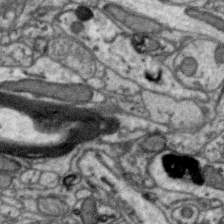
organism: Zebra finch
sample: Brain